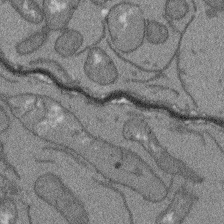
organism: Arabidopsis thaliana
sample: Root tip